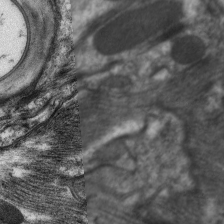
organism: C. elegans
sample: Pharynx